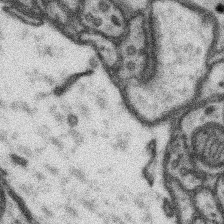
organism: Mouse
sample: Somatosensory cortex neuropil